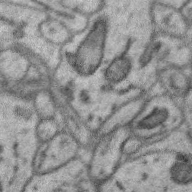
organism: Zebra finch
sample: Brain